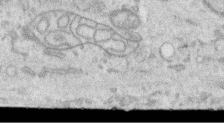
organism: Human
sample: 1205lu cells